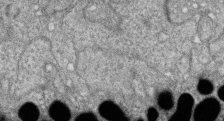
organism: Zebrafish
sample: Cilia; retinal pigment epithelium